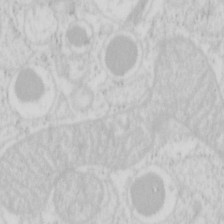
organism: Mouse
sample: Pancreas